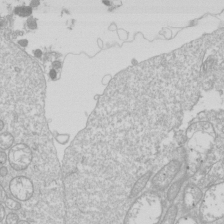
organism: Drosophila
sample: Cell division; meiosis; drosophila spermatocytes